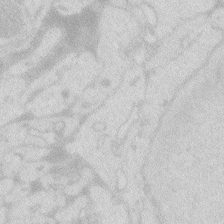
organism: Zebrafish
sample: Macrophage